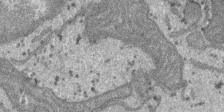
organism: Human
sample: Lung epithelial cells infected with SARS-CoV-2